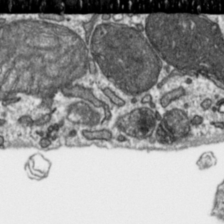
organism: Toxoplasma gondii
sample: Parasites in a vacuole inside a host cell